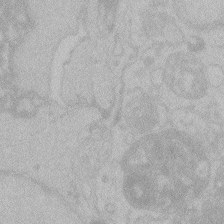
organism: Zebrafish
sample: Macrophage infected with Toxoplasma gondii